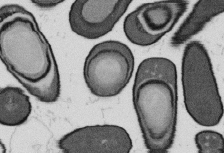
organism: B. subtilis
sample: Bacterial spore